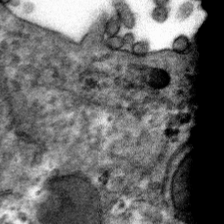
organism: Mouse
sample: Mouse hepatocytes